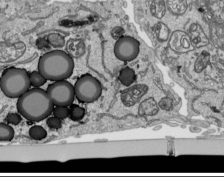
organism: Human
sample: Mitochondria in HCT116 cells